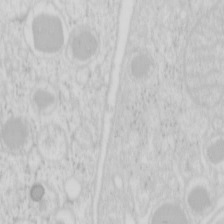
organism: Mouse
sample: Pancreas